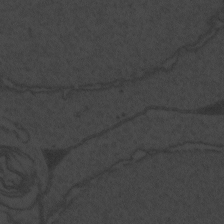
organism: Zebrafish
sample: Macrophage infected with Toxoplasma gondii